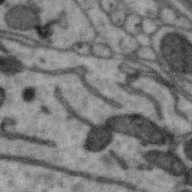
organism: Zebra finch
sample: Brain